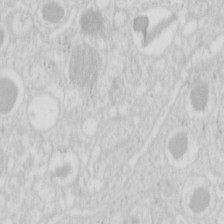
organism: Mouse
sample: Pancreas